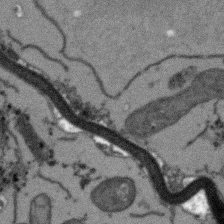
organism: Arabidopsis thaliana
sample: Root tip